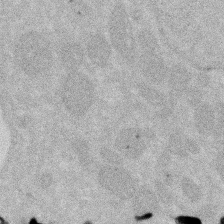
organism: Human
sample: HIV infected U937 cells